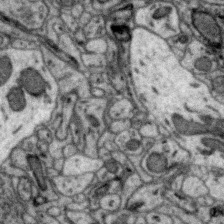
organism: Zebra finch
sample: Brain